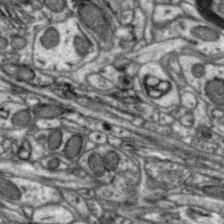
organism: Zebra finch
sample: Brain